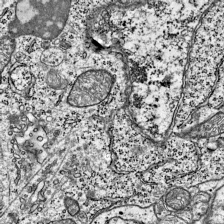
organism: Mouse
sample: Visual Cortex